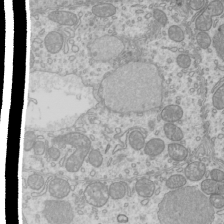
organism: Mouse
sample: Cilia; mouse epididymis